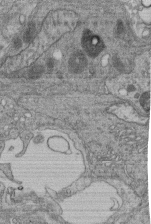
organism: Human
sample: Retinal organoid Rod and Cone cells